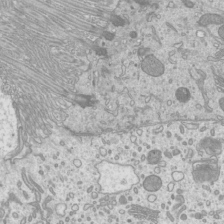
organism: Mouse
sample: Cilia; mouse epididymis